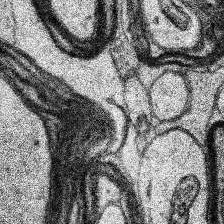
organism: Human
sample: Temporal Lobe